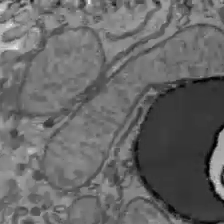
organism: C57BL Mouse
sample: Liver